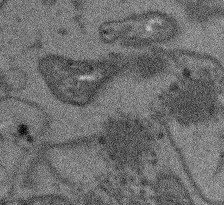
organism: Arabidopsis thaliana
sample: Root tip